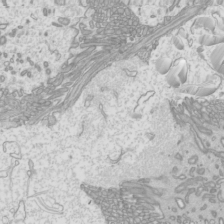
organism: Mouse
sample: Cilia; mouse epididymis